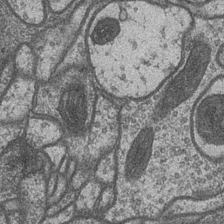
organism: Drosophila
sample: Optic medulla